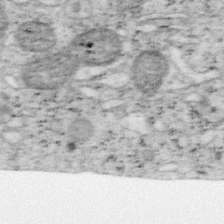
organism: Mouse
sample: OT-I killer T cells with ID8 ovarian cancer cells